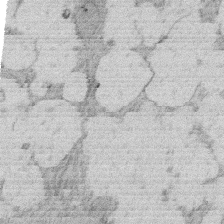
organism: Rat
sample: Salivary granule